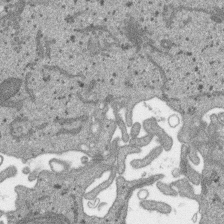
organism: Human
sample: Lung epithelial cells infected with SARS-CoV-2